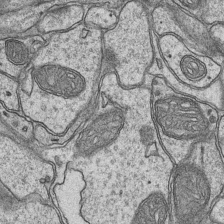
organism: Mouse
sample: CA1 Hippocampus